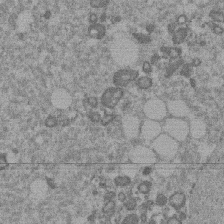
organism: Mouse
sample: Dividing mouse embryo 1 cell stage